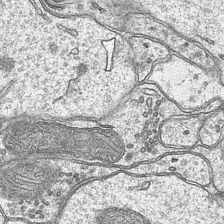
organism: Mouse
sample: CA1 Hippocampus